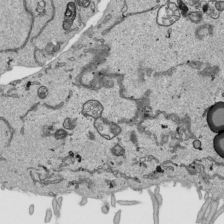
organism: Human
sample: Mitochondria in HCT116 cells